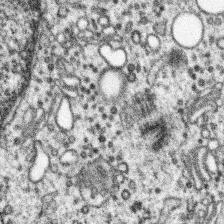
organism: Human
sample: HeLa cells